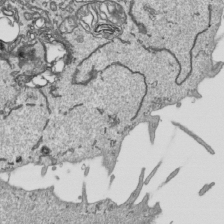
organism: Human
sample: Mitochondria in HCT116 cells